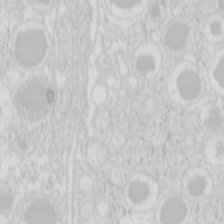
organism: Mouse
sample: Pancreas